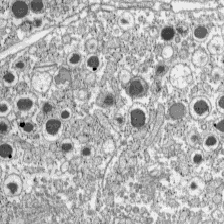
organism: C57BL Mouse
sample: Pancreatic islet